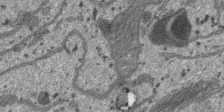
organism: Human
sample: Lung epithelial cells infected with SARS-CoV-2